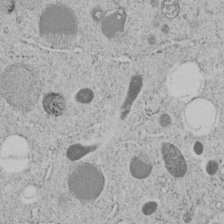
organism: C. elegans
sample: C. elegans embryo early stage